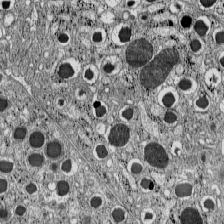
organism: C57BL Mouse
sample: Pancreatic islet